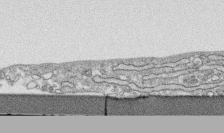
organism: Human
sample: CRL-1474